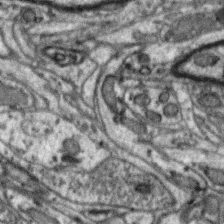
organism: Zebra finch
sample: Brain